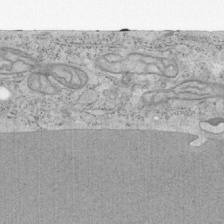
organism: Human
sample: HeLa cells